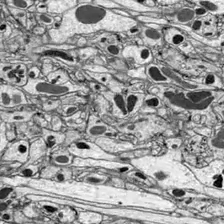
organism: Drosophila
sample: Optic lobe